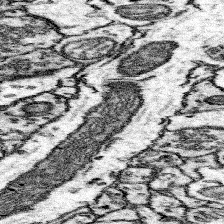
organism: Mouse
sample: Somatosensory cortex neuropil